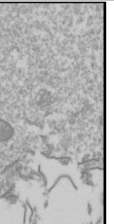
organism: Drosophila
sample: Cell division; meiosis; drosophila spermatocytes